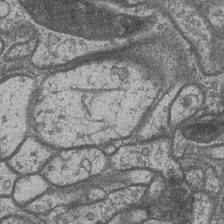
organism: Drosophila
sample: Optic medulla